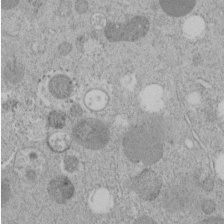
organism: C. elegans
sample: C. elegans embryo early stage